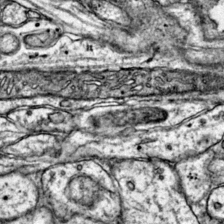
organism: Mouse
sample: Primary visual cortex